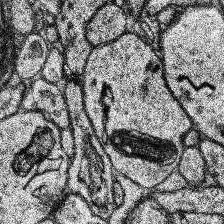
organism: Human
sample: Temporal Lobe